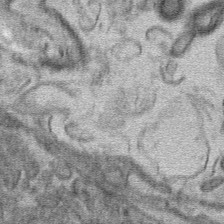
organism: Mouse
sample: Mouse hepatocytes